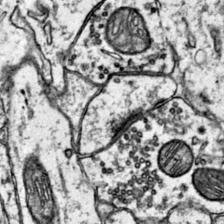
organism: Mouse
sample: Primary visual cortex